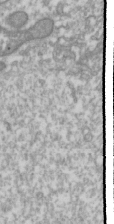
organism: Drosophila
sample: Cell division; meiosis; drosophila spermatocytes